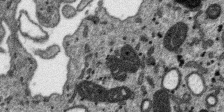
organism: Human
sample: Lung epithelial cells infected with SARS-CoV-2